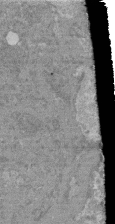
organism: Mouse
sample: Glomerulus